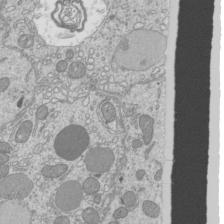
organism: Mouse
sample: Cilia; mouse epididymis